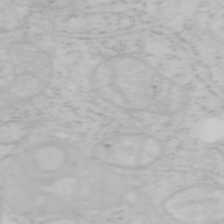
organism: Mouse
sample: OT-I killer T cells with ID8 ovarian cancer cells